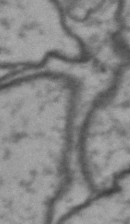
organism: Drosophila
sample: Brain